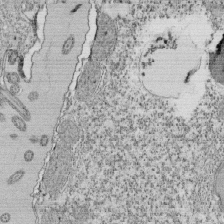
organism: Tetrahymena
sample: Cilia in tetrahymena